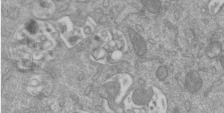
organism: Mouse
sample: ED-1 cell nuclei; centrioles